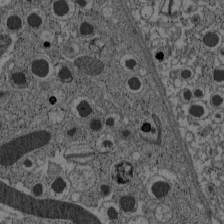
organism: C57BL Mouse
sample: Pancreatic islet